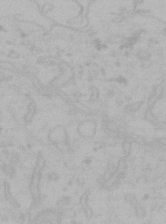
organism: Mouse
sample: Choroid plexus